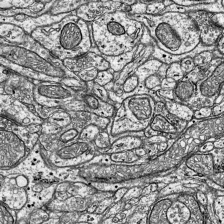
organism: Mouse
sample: Visual Cortex